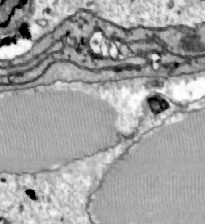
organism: Zebrafish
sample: Actinotrichia fibers